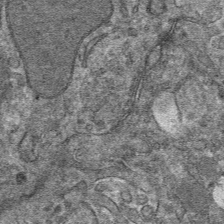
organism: Mouse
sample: Mouse hepatocytes